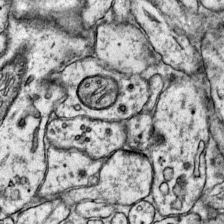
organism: Mouse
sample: Primary visual cortex